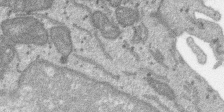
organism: Human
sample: Lung epithelial cells infected with SARS-CoV-2